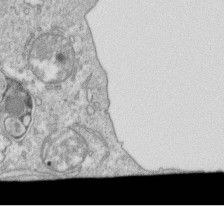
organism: Mouse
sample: Activated OT-1 CD8+ T cells